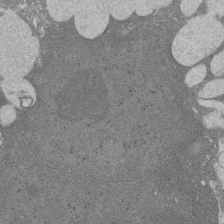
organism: Rat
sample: Salivary granule